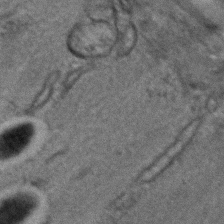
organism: C. elegans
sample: C. elegans embryo